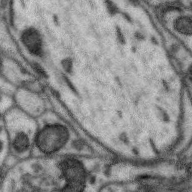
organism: Zebra finch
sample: Brain